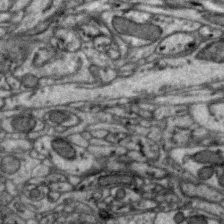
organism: Zebra finch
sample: Brain